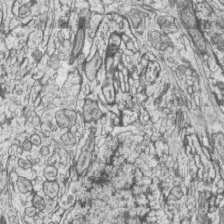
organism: Zebrafish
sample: synaptic ribbons in rod cells and cone cells